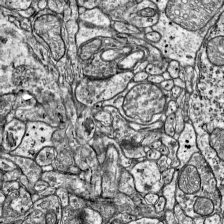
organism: Mouse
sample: Visual Cortex